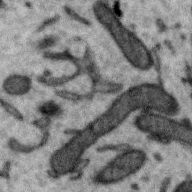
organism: Zebra finch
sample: Brain